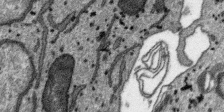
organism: Human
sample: Lung epithelial cells, uninfected (mock) control